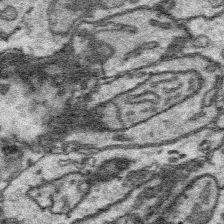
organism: Platynereis dumerilii